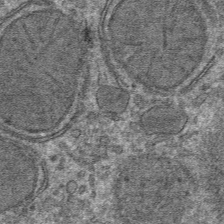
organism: Mouse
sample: Mouse hepatocytes